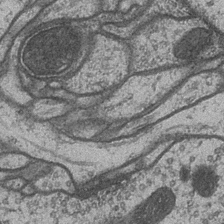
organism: Drosophila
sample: Optic medulla